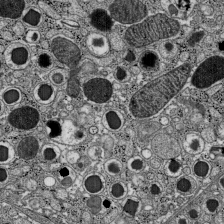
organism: C57BL Mouse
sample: Pancreatic islet